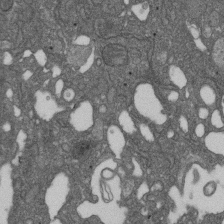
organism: Drosophila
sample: Nephrocyte